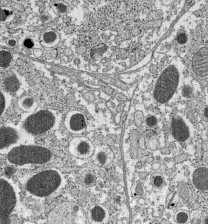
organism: C57BL Mouse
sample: Pancreatic islet